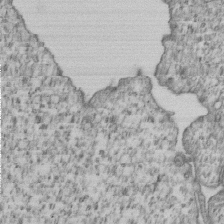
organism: Human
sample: MDA-MB-231 cells